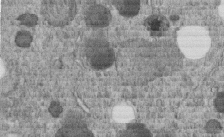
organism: C. elegans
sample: C. elegans embryo early stage